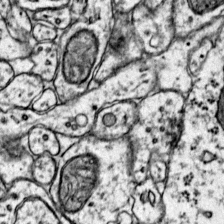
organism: Mouse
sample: Primary visual cortex